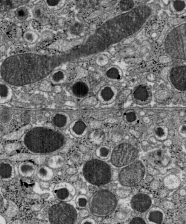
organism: C57BL Mouse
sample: Pancreatic islet